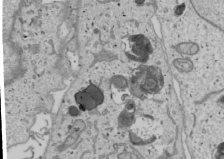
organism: Human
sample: Mitochondria in U2OS cells